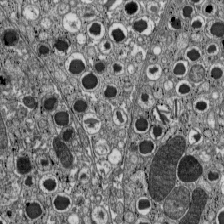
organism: C57BL Mouse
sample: Pancreatic islet